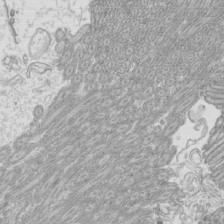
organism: Mouse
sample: Cilia; mouse epididymis